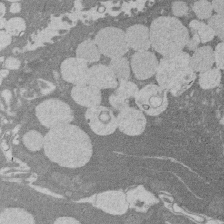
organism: Rat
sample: Salivary granule